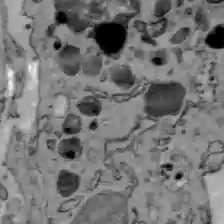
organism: C57BL Mouse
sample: Liver